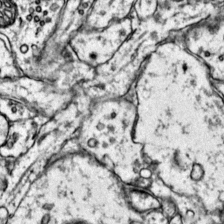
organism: Mouse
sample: Primary visual cortex